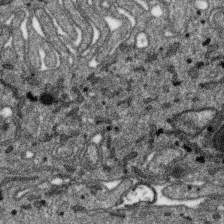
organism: Human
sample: Lung epithelial cells infected with SARS-CoV-2